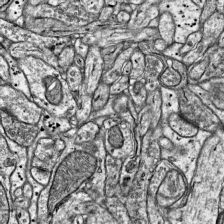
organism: Mouse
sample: Visual Cortex